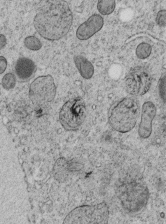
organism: C. elegans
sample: C. elegans embryo early stage